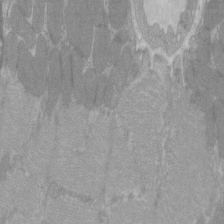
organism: C57BL Mouse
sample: Tibialis anterior muscle cell